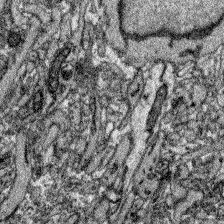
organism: Zebrafish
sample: Larval olfactory bulb